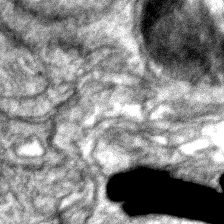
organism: Zebrafish